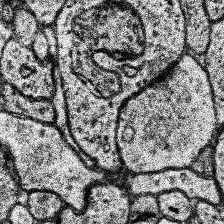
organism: Human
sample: Temporal Lobe